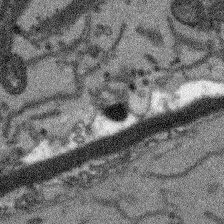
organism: Arabidopsis thaliana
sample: Root tip